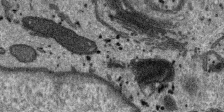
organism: Human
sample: Lung epithelial cells, uninfected (mock) control